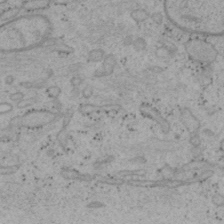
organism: Human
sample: HeLa cells